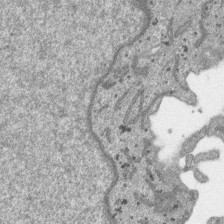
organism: Human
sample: Lung epithelial cells infected with SARS-CoV-2